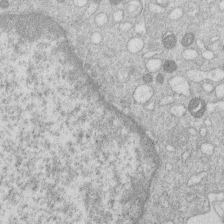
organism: Human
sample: Macrophage cells